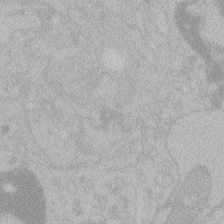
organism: Zebrafish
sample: Macrophage infected with Toxoplasma gondii